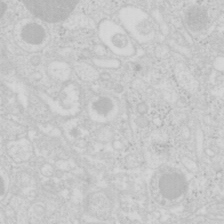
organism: Mouse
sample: Pancreas